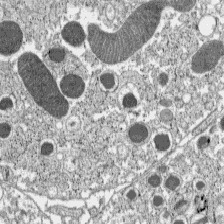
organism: C57BL Mouse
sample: Pancreatic islet